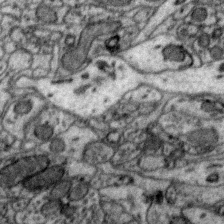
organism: Zebra finch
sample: Brain